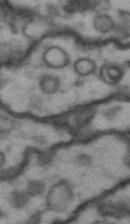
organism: Drosophila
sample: Brain